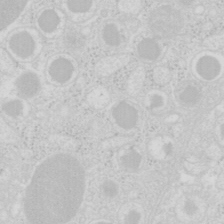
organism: Mouse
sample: Pancreas